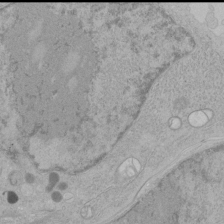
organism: Human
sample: Mitochondria in HCT116 cells